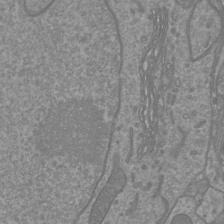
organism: Mouse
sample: Cortical neurons